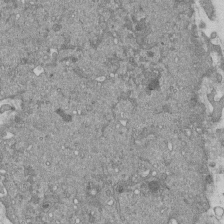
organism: Mouse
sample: ED-1 cell nuclei; centrioles